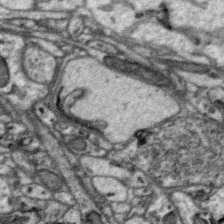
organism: Zebra finch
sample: Brain